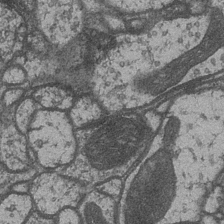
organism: Drosophila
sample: Optic medulla